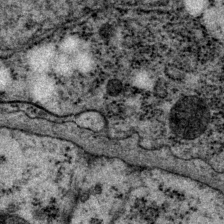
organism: P. pacificus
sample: Pharynx